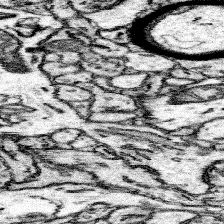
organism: Mouse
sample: Somatosensory cortex neuropil